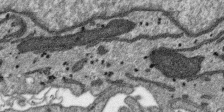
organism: Human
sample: Lung epithelial cells, uninfected (mock) control